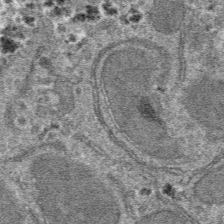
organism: Mouse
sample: Mouse hepatocytes